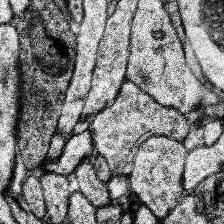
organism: Human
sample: Temporal Lobe